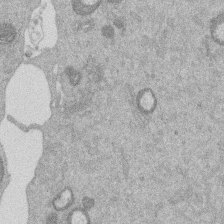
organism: Mouse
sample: Dividing mouse embryo 1 cell stage